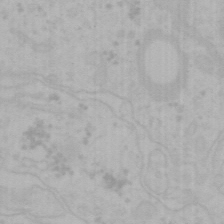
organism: Mouse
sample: Choroid plexus